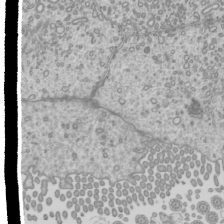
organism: Mouse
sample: Cilia; mouse epididymis